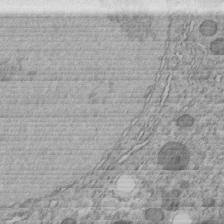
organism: C. elegans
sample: C. elegans embryo early stage